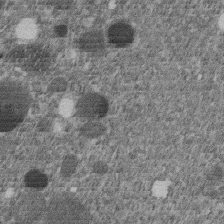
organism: C. elegans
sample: C. elegans embryo early stage